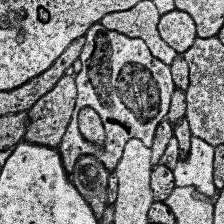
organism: Human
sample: Temporal Lobe